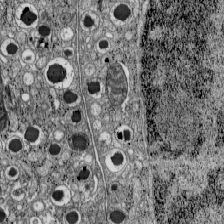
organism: C57BL Mouse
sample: Pancreatic islet